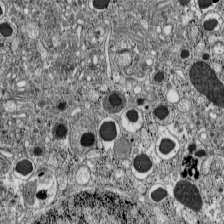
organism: C57BL Mouse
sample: Pancreatic islet